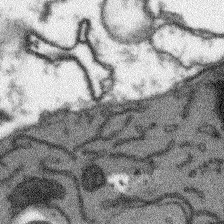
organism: Arabidopsis thaliana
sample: Root tip